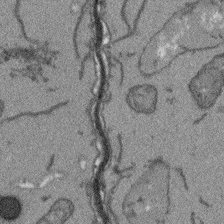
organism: Arabidopsis thaliana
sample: Root tip